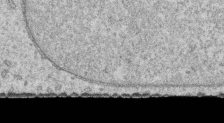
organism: Human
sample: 1205lu cells